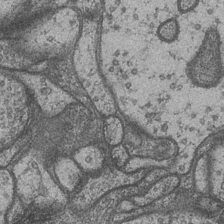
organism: Drosophila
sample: Optic medulla